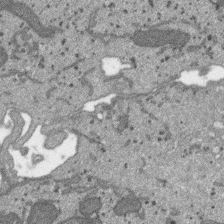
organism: Human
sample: Lung epithelial cells infected with SARS-CoV-2